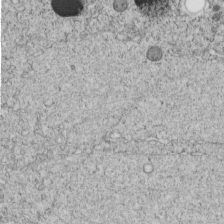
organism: C. elegans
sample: C. elegans embryo early stage